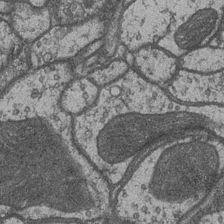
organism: Drosophila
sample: Optic medulla